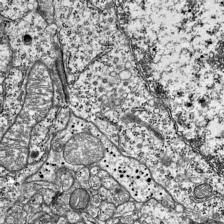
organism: Mouse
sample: Visual Cortex